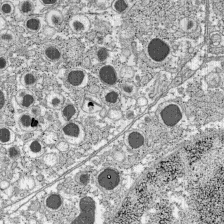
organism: C57BL Mouse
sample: Pancreatic islet